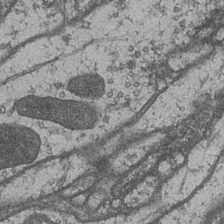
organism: Drosophila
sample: Optic medulla